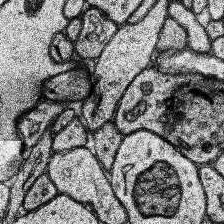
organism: Human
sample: Temporal Lobe